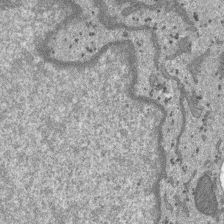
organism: Human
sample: Lung epithelial cells infected with SARS-CoV-2